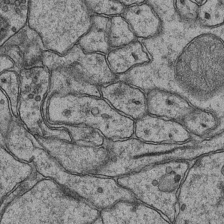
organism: Mouse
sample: CA1 Hippocampus